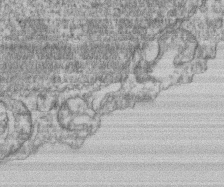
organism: Mouse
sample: T cell stromal cell synapse